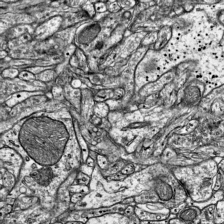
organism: Mouse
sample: Visual Cortex